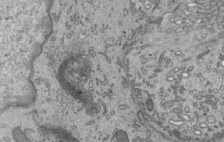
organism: Mouse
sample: Mouse epididymis efferent ductule cilia